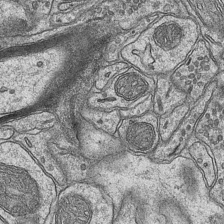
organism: Mouse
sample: CA1 Hippocampus